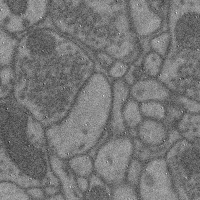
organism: Mouse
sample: Cerebral cortex